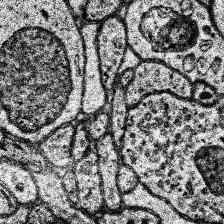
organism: Human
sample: Temporal Lobe